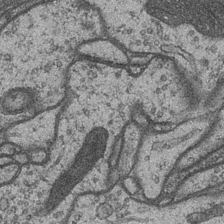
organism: Drosophila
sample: Optic medulla